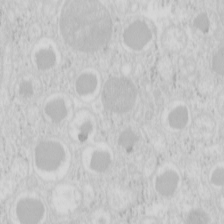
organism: Mouse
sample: Pancreas